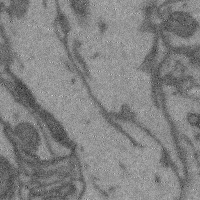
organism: Mouse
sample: Cerebral cortex